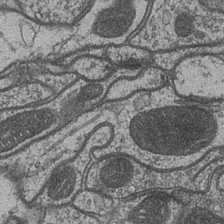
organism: Drosophila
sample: Optic medulla